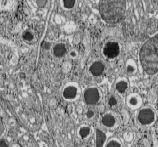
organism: C57BL Mouse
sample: Pancreatic islet